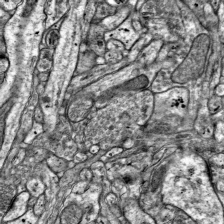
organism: Mouse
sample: Visual Cortex